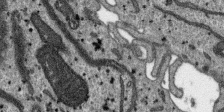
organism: Human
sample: Lung epithelial cells, uninfected (mock) control